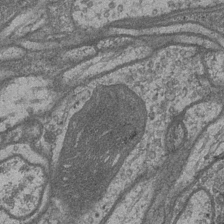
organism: Drosophila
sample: Optic medulla